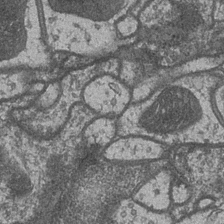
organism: Drosophila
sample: Optic medulla